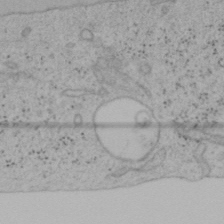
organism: Human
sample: HeLa cells